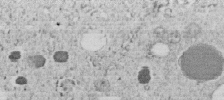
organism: C. elegans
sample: C. elegans embryo early stage